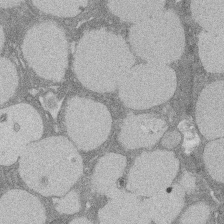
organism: Rat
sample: Salivary granule